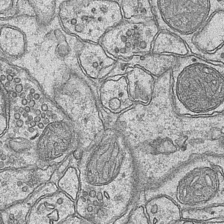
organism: Mouse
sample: CA1 Hippocampus